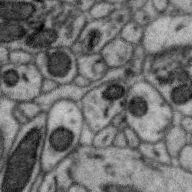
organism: Zebra finch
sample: Brain